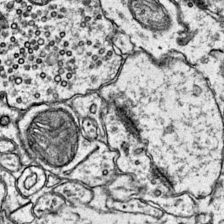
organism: Mouse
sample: Primary visual cortex